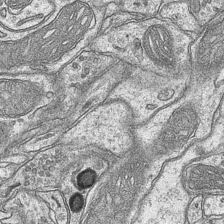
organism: Mouse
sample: CA1 Hippocampus